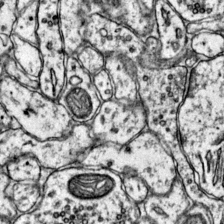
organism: Mouse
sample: Primary visual cortex